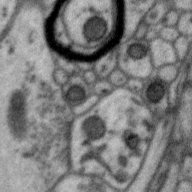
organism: Zebra finch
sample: Brain